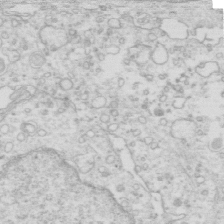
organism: Mouse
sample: Multiciliated cells